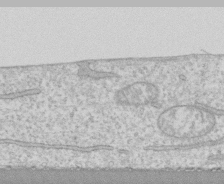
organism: Human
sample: CRL-1474